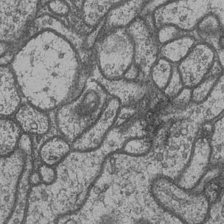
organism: Drosophila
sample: Optic medulla